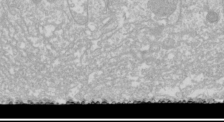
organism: Drosophila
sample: Cell division; meiosis; drosophila spermatocytes